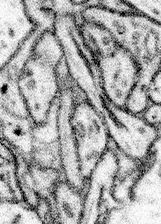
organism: Mouse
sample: Somatosensory cortex neuropil